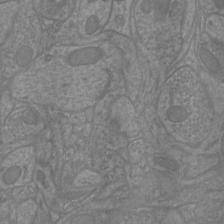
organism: Mouse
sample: Cortical neurons